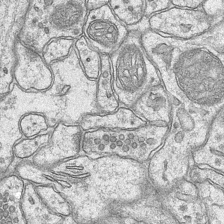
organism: Mouse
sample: CA1 Hippocampus